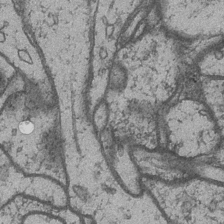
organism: Drosophila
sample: Optic medulla